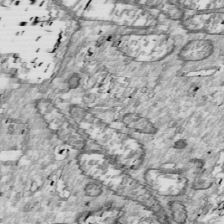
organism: Drosophila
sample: Cell division; meiosis; drosophila spermatocytes